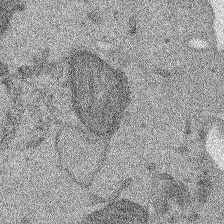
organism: Human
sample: HeLa cells